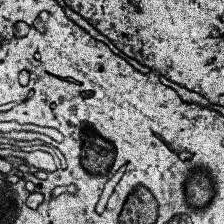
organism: Human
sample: Temporal Lobe